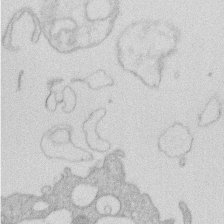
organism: Human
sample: Macrophage cells